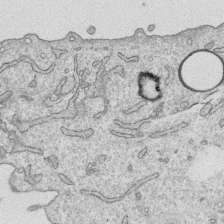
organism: Human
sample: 1205lu cells